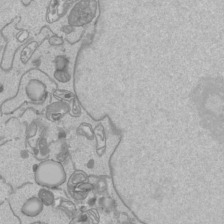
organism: Human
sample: Mitochondria in HCT116 cells